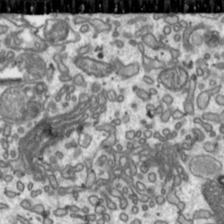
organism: Toxoplasma gondii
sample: Parasites in a vacuole inside a host cell